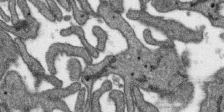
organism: Human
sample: Lung epithelial cells, uninfected (mock) control